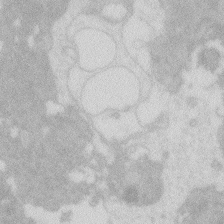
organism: Zebrafish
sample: Macrophage